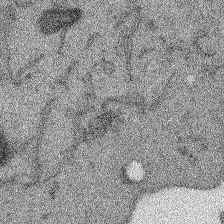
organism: Human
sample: HeLa cells